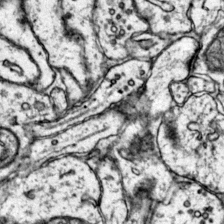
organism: Mouse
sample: Primary visual cortex